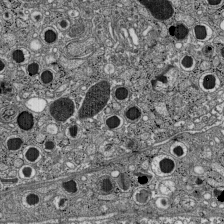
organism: C57BL Mouse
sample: Pancreatic islet